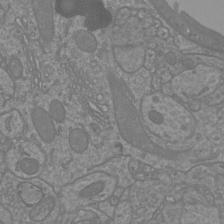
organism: Mouse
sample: Cortical neurons